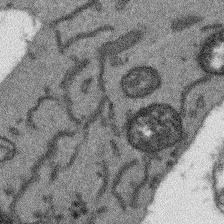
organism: Arabidopsis thaliana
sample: Root tip